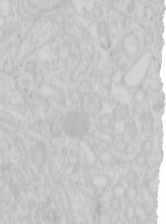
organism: Mouse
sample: Pancreas